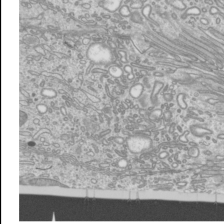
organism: Mouse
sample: Cilia; mouse epididymis